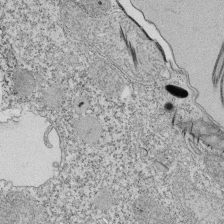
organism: Tetrahymena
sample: Cilia in tetrahymena